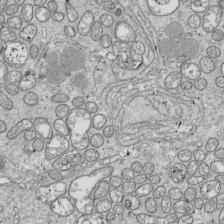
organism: Drosophila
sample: Cell division; meiosis; drosophila spermatocytes